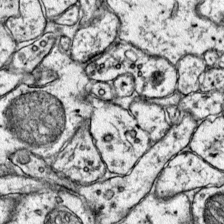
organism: Mouse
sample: Primary visual cortex